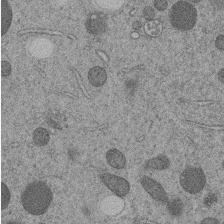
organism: C. elegans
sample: C. elegans embryo early stage